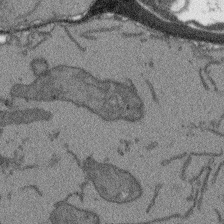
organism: Arabidopsis thaliana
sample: Root tip